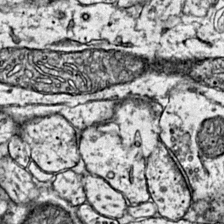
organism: Mouse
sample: Primary visual cortex